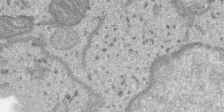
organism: Human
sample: Lung epithelial cells infected with SARS-CoV-2